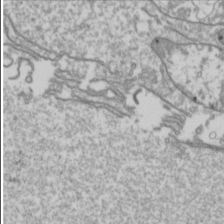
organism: Drosophila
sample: Cell division; meiosis; drosophila spermatocytes